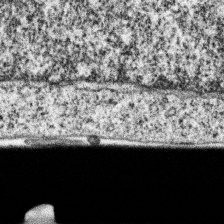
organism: Human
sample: HeLa cells